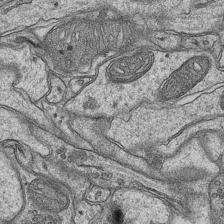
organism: Mouse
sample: CA1 Hippocampus